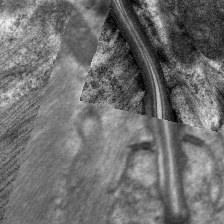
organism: C. elegans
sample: Pharynx